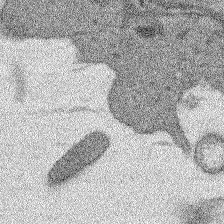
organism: Human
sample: HeLa cells